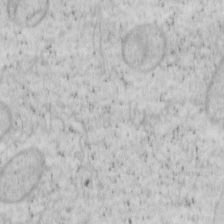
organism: Human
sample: HeLa cells